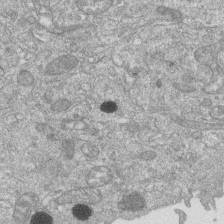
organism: Human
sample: HeLa cell HIV synapse